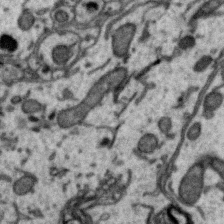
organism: Zebra finch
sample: Brain